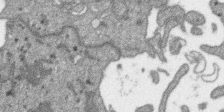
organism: Human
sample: Lung epithelial cells infected with SARS-CoV-2